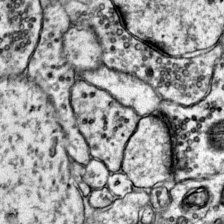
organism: Mouse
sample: Primary visual cortex